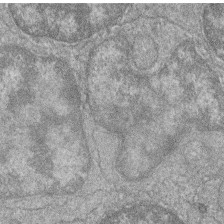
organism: Zebrafish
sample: Cilia; retinal pigment epithelium